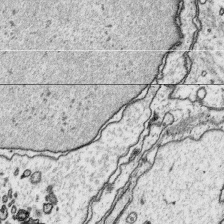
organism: Platynereis dumerilii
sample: Parapodia